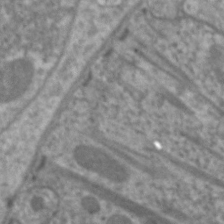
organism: C. elegans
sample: Pharynx